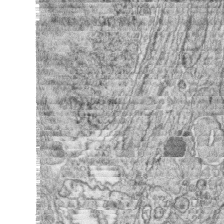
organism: Zebrafish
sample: synaptic ribbons in rod cells and cone cells